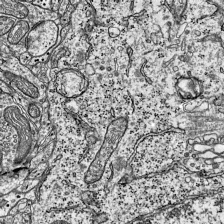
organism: Mouse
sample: Visual Cortex